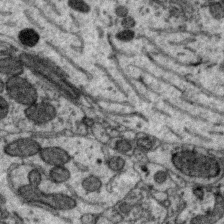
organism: Zebra finch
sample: Brain